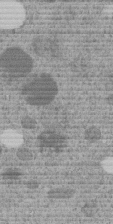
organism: C. elegans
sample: C. elegans embryo early stage